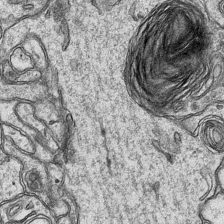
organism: Mouse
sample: CA1 Hippocampus